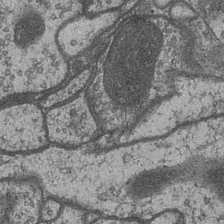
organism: Drosophila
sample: Optic medulla